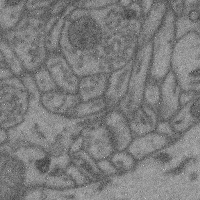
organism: Mouse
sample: Cerebral cortex